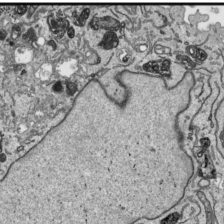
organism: Human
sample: Mitochondria in HCT116 cells